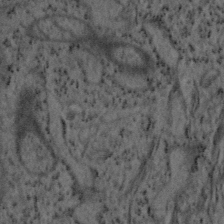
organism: Human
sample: HeLa cells